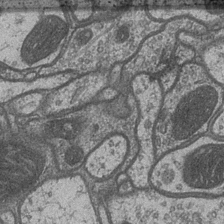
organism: Drosophila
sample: Optic medulla